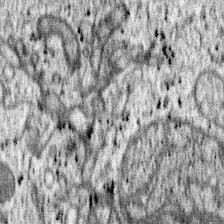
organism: Human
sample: HeLa cells